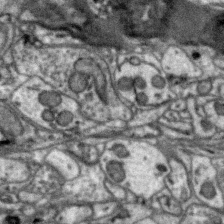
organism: Zebra finch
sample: Brain